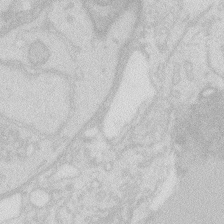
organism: Zebrafish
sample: Macrophage